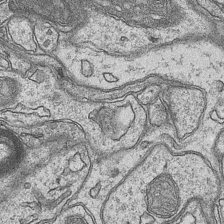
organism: Mouse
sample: CA1 Hippocampus